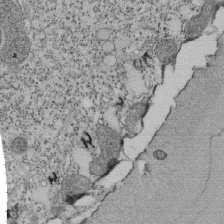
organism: Tetrahymena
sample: Cilia in tetrahymena